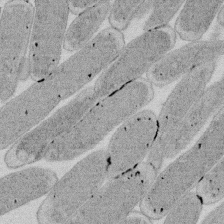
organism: E. coli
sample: Bacterial nucleoid